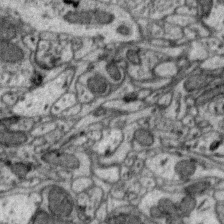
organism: Zebra finch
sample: Brain